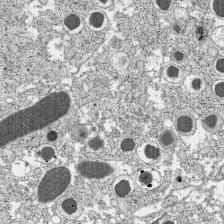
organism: C57BL Mouse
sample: Pancreatic islet